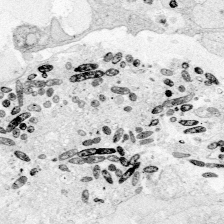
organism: Zebrafish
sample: Whole-Brain